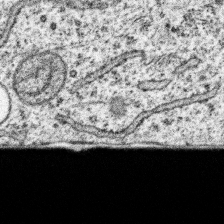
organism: Human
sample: HeLa cells